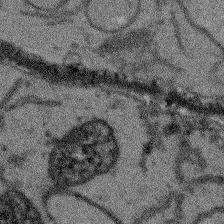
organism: Arabidopsis thaliana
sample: Root tip